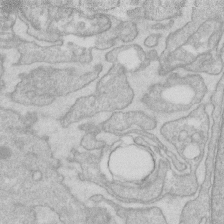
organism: Human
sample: Fibroblast cells